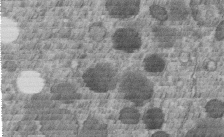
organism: C. elegans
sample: C. elegans embryo early stage